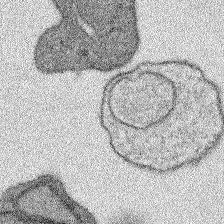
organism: Human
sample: HeLa cells